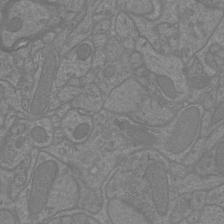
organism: Mouse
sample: Cortical neurons